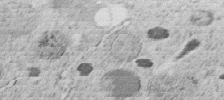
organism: C. elegans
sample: C. elegans embryo early stage